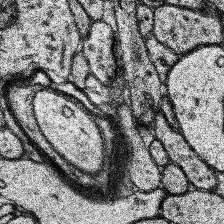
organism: Human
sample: Temporal Lobe